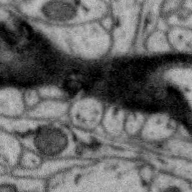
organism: Zebra finch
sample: Brain